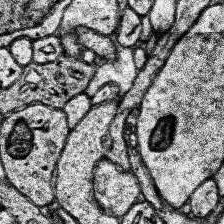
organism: Human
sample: Temporal Lobe